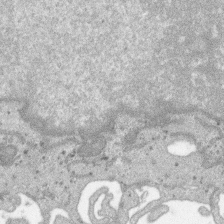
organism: Human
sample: Lung epithelial cells infected with SARS-CoV-2